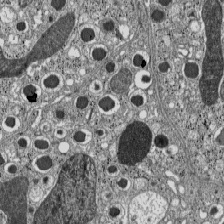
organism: C57BL Mouse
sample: Pancreatic islet